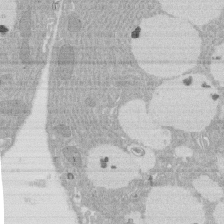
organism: Rat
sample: Salivary granule